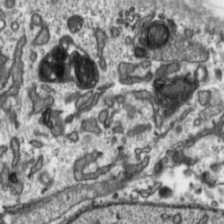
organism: Toxoplasma gondii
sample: Parasites in a vacuole inside a host cell